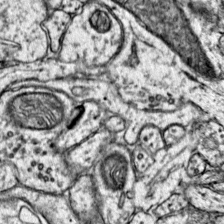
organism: Mouse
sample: Primary visual cortex